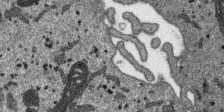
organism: Human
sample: Lung epithelial cells infected with SARS-CoV-2